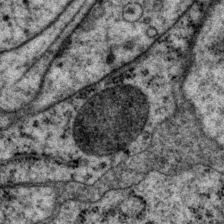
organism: P. pacificus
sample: Pharynx